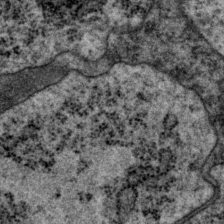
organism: P. pacificus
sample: Pharynx